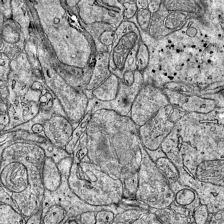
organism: Mouse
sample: Visual Cortex